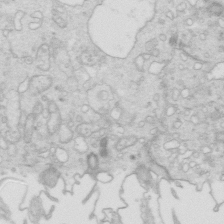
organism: Mouse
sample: Multiciliated cells